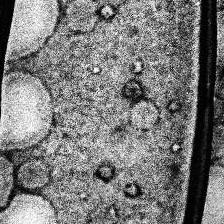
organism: Human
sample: Temporal Lobe